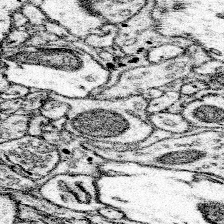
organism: Mouse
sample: Somatosensory cortex neuropil